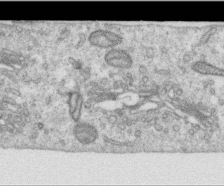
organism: Human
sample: Centriole in RPE cells